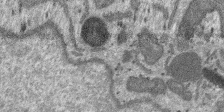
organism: Human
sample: Lung epithelial cells infected with SARS-CoV-2